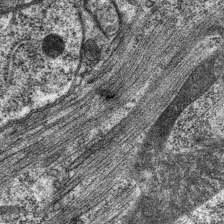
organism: C. elegans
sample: Pharynx